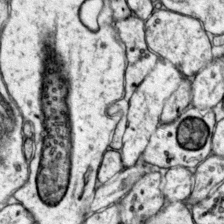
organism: Mouse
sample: Primary visual cortex